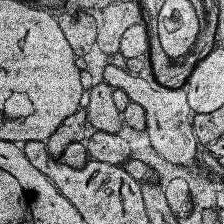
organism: Human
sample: Temporal Lobe